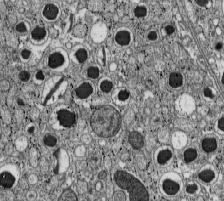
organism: C57BL Mouse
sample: Pancreatic islet